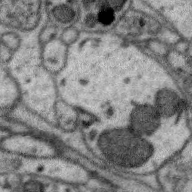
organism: Zebra finch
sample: Brain